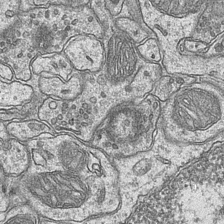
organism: Mouse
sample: CA1 Hippocampus